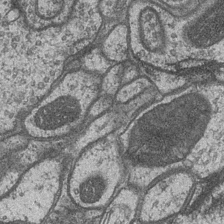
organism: Drosophila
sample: Optic medulla